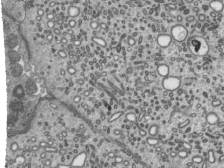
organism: Mouse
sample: Mouse epididymis efferent ductule cilia